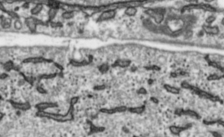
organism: Toxoplasma gondii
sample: Parasites in a vacuole inside a host cell